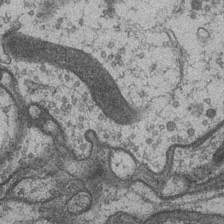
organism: Drosophila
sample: Optic medulla